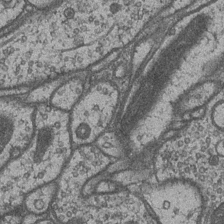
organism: Drosophila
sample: Optic medulla